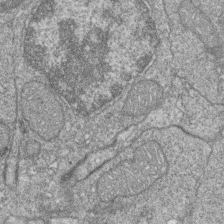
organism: Zebrafish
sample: Cilia; retinal pigment epithelium